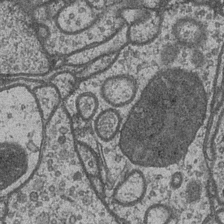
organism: Drosophila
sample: Optic medulla